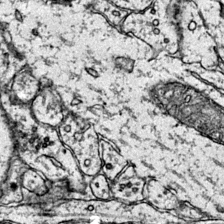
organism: Mouse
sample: Primary visual cortex